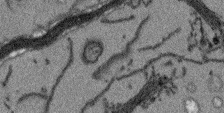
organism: Arabidopsis thaliana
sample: Root tip